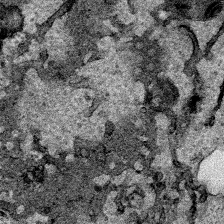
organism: Human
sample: Mitochondria in HCT116 cells